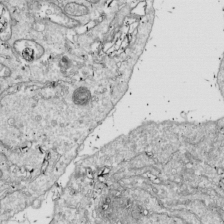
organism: Drosophila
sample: Cell division; meiosis; drosophila spermatocytes